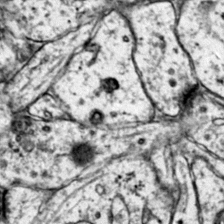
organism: Mouse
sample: Primary visual cortex